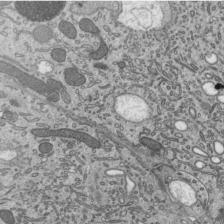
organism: Mouse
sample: Mouse epididymis efferent ductule cilia